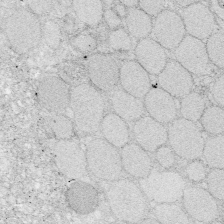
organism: Zebrafish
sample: Whole-Brain